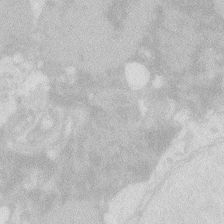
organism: Zebrafish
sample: Macrophage